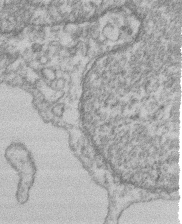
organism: Mouse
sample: T cell stromal cell synapse